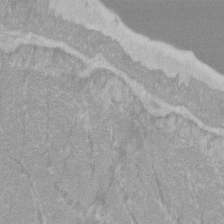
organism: C57BL Mouse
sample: Tibialis anterior muscle cell